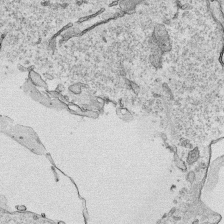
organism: Human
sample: Mitochondria in HCT116 cells